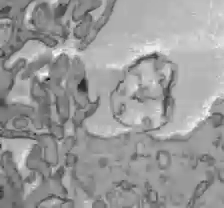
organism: C57BL Mouse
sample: Liver